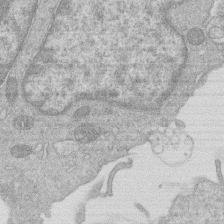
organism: Human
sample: Macrophage cells